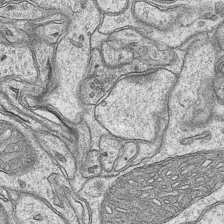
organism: Mouse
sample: CA1 Hippocampus